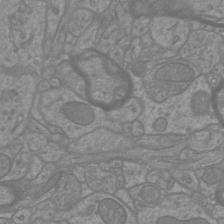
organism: Mouse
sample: Cortical neurons